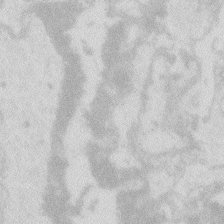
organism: Zebrafish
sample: Macrophage